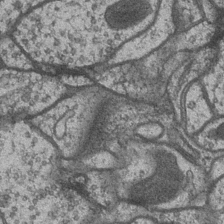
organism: Drosophila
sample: Optic medulla